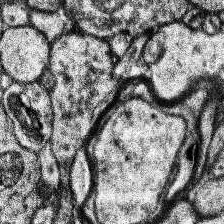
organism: Human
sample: Temporal Lobe